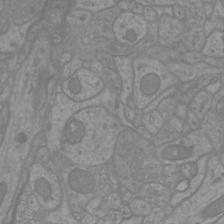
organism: Mouse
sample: Cortical neurons